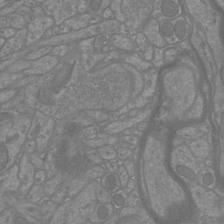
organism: Mouse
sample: Cortical neurons